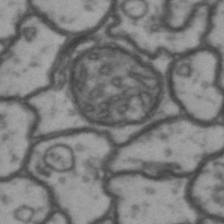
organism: Drosophila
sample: Brain